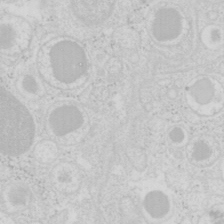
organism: Mouse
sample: Pancreas